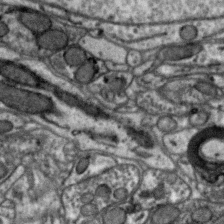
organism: Zebra finch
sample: Brain